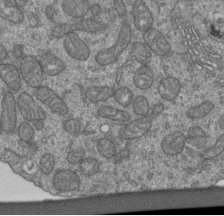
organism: Human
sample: Retinal organoid Rod and Cone cells